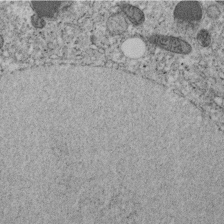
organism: C. elegans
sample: C. elegans embryo early stage